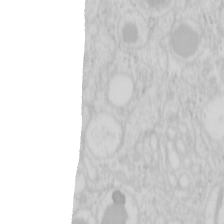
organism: Mouse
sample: Pancreas